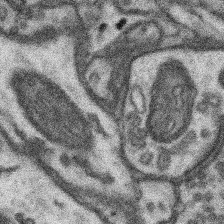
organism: Mouse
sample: Somatosensory cortex neuropil